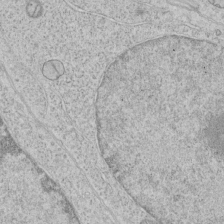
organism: Human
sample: Mitochondria in HCT116 cells